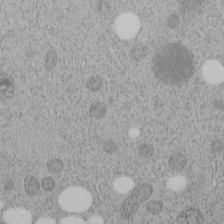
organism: C. elegans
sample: C. elegans embryo early stage